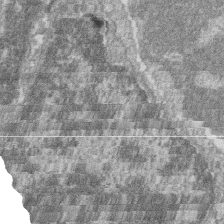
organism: Zebrafish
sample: Cilia; retinal pigment epithelium